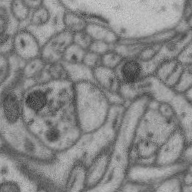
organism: Zebra finch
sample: Brain